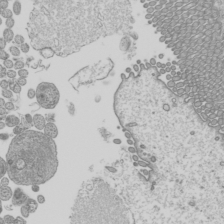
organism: Mouse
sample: Cilia; mouse epididymis